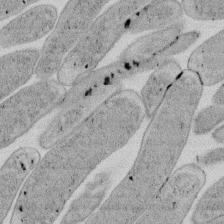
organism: E. coli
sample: Bacterial nucleoid